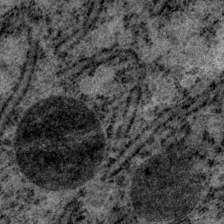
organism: P. pacificus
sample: Pharynx